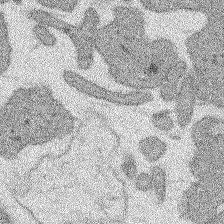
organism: Human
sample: HeLa cells